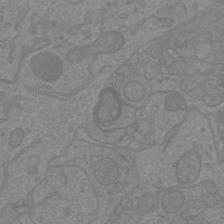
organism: Mouse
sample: Cortical neurons